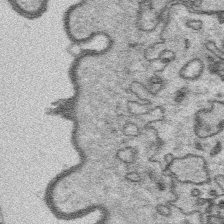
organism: Platynereis dumerilii